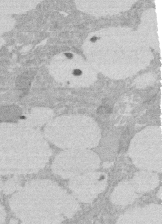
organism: Rat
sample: Salivary granule